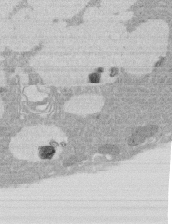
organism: Rat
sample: Salivary granule